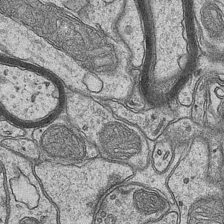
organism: Mouse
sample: CA1 Hippocampus